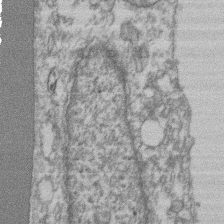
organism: Mouse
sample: T cell stromal cell synapse